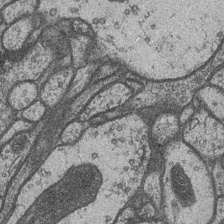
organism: Drosophila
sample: Optic medulla